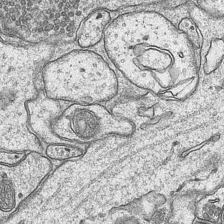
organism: Mouse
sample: CA1 Hippocampus